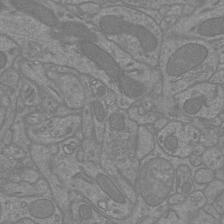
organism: Mouse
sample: Cortical neurons